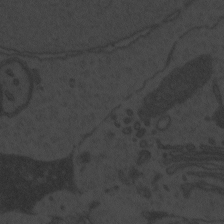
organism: Zebrafish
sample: Macrophage infected with Toxoplasma gondii